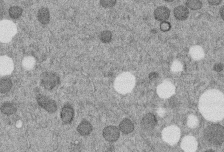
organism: C. elegans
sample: C. elegans embryo early stage